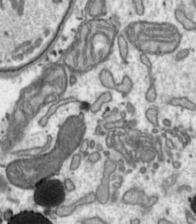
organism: Toxoplasma gondii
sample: Parasites in a vacuole inside a host cell